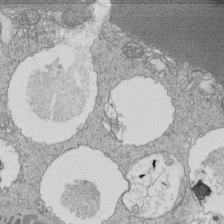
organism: Tetrahymena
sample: Cilia in tetrahymena